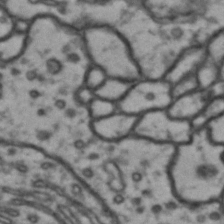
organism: Drosophila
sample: Brain